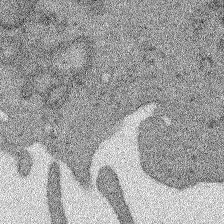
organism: Human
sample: HeLa cells